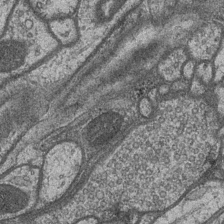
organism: Drosophila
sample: Optic medulla